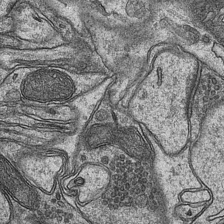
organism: Mouse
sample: CA1 Hippocampus